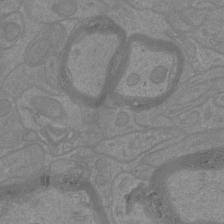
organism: Mouse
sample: Cortical neurons